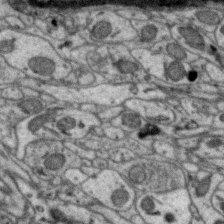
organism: Zebra finch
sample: Brain